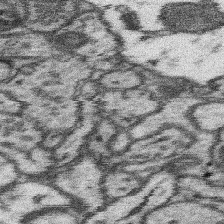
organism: Mouse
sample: Somatosensory cortex neuropil